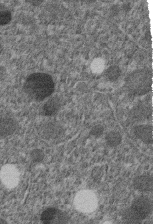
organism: C. elegans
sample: C. elegans embryo early stage